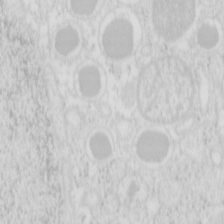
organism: Mouse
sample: Pancreas